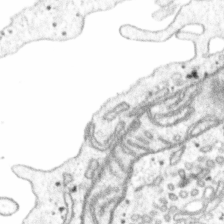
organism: Human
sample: HeLa cells